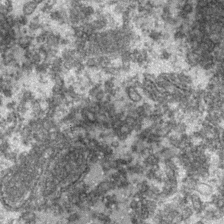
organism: Zebrafish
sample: Zebrafish embryo